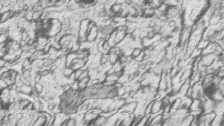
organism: Zebrafish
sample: synaptic ribbons in rod cells and cone cells